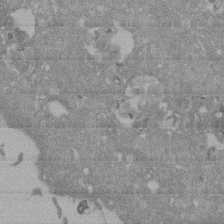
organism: Mouse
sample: ED-1 cell nuclei; centrioles